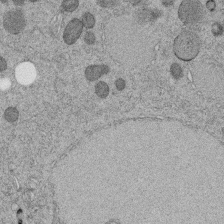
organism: C. elegans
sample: C. elegans embryo early stage